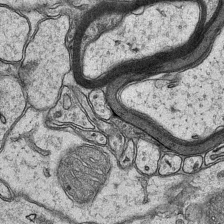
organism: Mouse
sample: CA1 Hippocampus